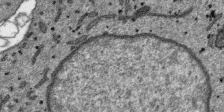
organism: Human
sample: Lung epithelial cells, uninfected (mock) control